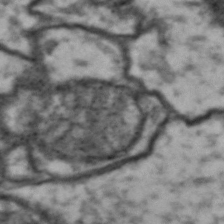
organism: Drosophila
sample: Brain